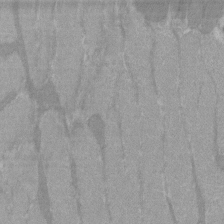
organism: C57BL Mouse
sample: Tibialis anterior muscle cell